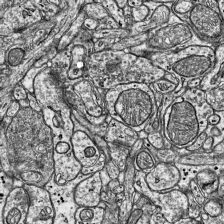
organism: Mouse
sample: Visual Cortex